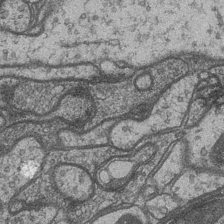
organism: Drosophila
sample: Optic medulla